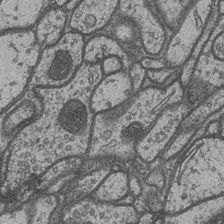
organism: Drosophila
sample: Optic medulla